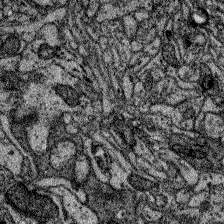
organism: Zebrafish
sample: Larval olfactory bulb